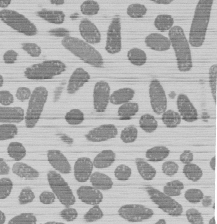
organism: E. coli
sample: Bacterial nucleoid